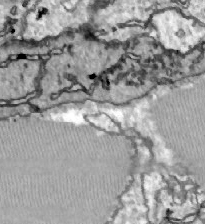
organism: Zebrafish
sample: Actinotrichia fibers